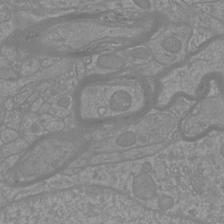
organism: Mouse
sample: Cortical neurons